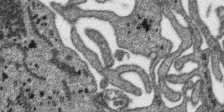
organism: Human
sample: Lung epithelial cells infected with SARS-CoV-2